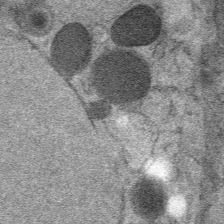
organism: Mouse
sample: Mouse Salivary gland